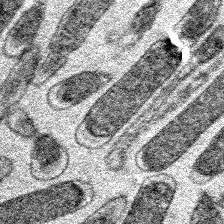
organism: E. coli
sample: E. Coli Bacteria